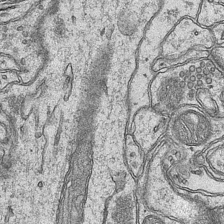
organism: Mouse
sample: CA1 Hippocampus